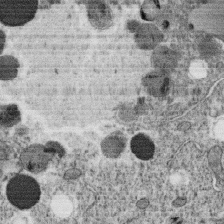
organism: C. elegans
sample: C. elegans oocyte; sperm cells